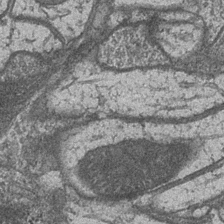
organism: Drosophila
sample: Optic medulla